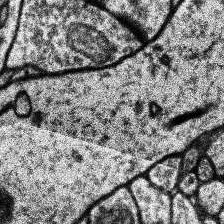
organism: Human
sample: Temporal Lobe